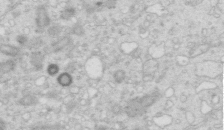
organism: Mouse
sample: Multiciliated cells